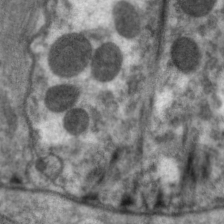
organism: C. elegans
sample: Pharynx